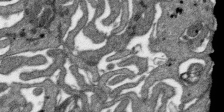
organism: Human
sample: Lung epithelial cells, uninfected (mock) control